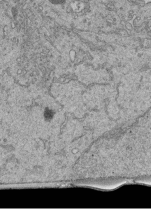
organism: Human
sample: Retinal organoid Rod and Cone cells